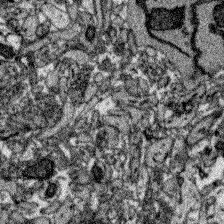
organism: Zebrafish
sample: Larval olfactory bulb